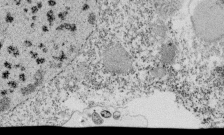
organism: Tetrahymena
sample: Cilia in tetrahymena